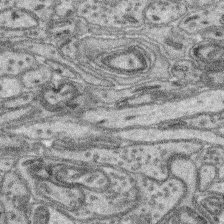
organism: Mouse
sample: Retina